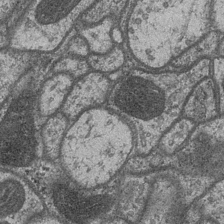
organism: Drosophila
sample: Optic medulla